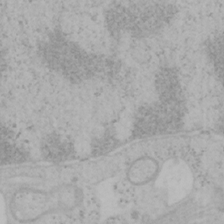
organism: Mouse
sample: OT-I killer T cells with ID8 ovarian cancer cells